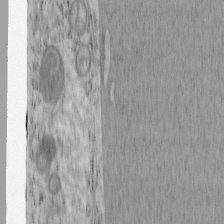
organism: Human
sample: HeLa cells